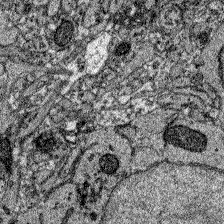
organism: Zebrafish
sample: Larval olfactory bulb